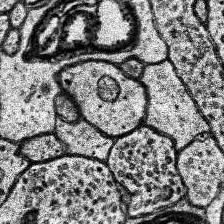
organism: Human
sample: Temporal Lobe